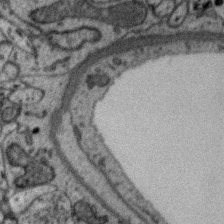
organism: Zebra finch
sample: Brain